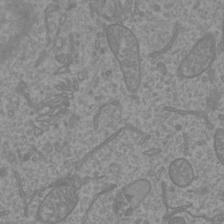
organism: Mouse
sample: Cortical neurons